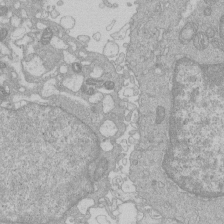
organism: Human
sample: Macrophage cells